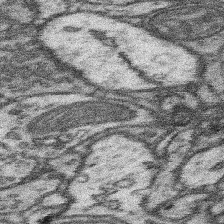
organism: Mouse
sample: Somatosensory cortex neuropil